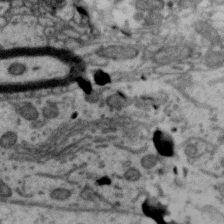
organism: Zebra finch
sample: Brain